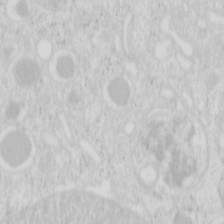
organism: Mouse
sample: Pancreas